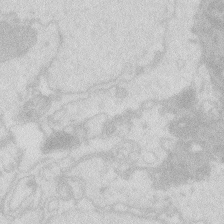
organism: Zebrafish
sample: Macrophage